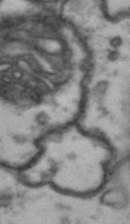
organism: Drosophila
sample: Brain